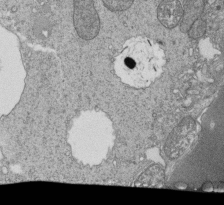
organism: Tetrahymena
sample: Cilia in tetrahymena